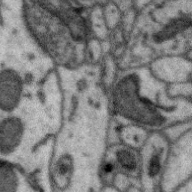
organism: Zebra finch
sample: Brain